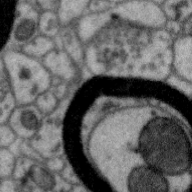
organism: Zebra finch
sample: Brain